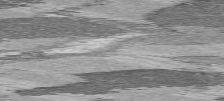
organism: C57BL Mouse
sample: Heart